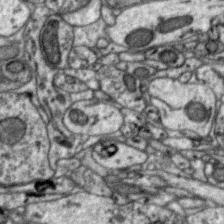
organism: Zebra finch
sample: Brain